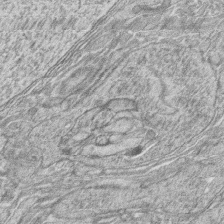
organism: Zebrafish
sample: synaptic ribbons in rod cells and cone cells